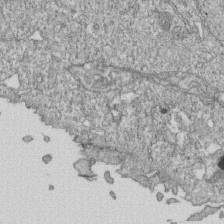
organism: Human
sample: HeLa cell HIV synapse